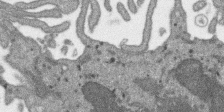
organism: Human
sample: Lung epithelial cells infected with SARS-CoV-2